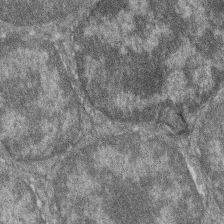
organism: Zebrafish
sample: Cilia; retinal pigment epithelium